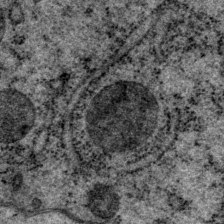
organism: P. pacificus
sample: Pharynx